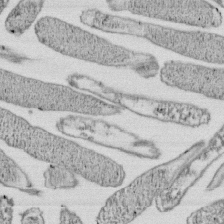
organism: E. coli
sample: Bacterial nucleoid